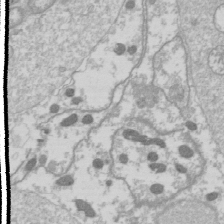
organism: Drosophila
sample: Cell division; meiosis; drosophila spermatocytes